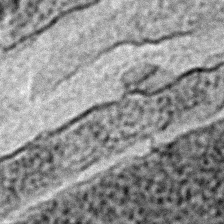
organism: C. elegans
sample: C. elegans embryo